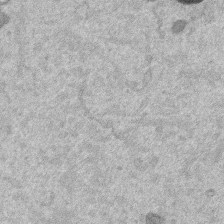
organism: Mouse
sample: Dividing mouse embryo 1 cell stage